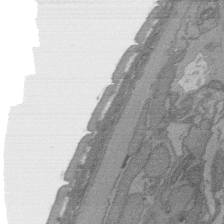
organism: C. elegans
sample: AFD neurons C. elegans